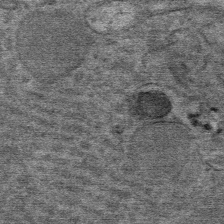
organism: Mouse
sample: Mouse Salivary gland